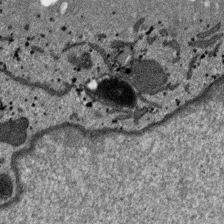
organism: Human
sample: Lung epithelial cells, uninfected (mock) control